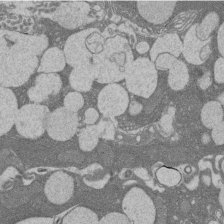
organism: Rat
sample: Salivary granule